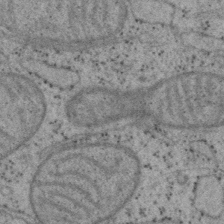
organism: Human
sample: HeLa cells